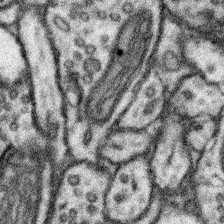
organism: Mouse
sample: Somatosensory cortex neuropil